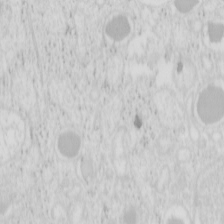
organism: Mouse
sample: Pancreas